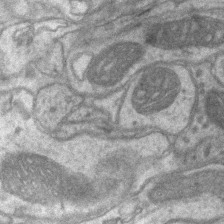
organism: Mouse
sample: CA1 Hippocampus